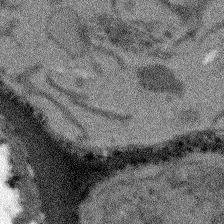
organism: Arabidopsis thaliana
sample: Root tip